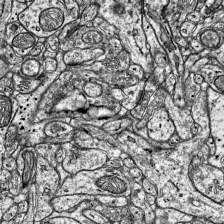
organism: Mouse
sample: Visual Cortex